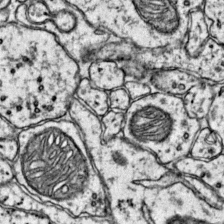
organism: Mouse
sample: Primary visual cortex